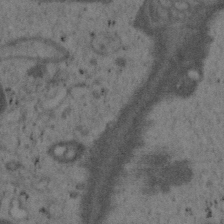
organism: Human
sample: HeLa cells